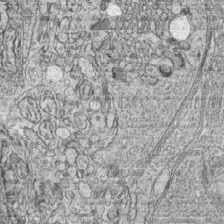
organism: Zebrafish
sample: synaptic ribbons in rod cells and cone cells